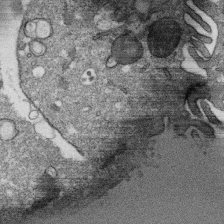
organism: African green monkey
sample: Vero E6 cells infected with SARS-CoV-2